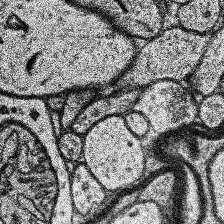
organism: Human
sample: Temporal Lobe